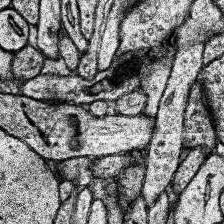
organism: Human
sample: Temporal Lobe